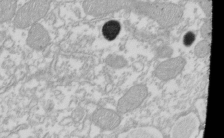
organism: Xenopus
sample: Cilia; centrioles in frog embryo cells